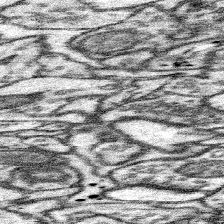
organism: Mouse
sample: Somatosensory cortex neuropil